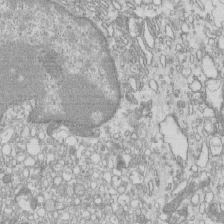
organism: Mouse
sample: Macrophages